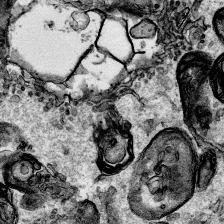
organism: Human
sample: Mitochondria in HCT116 cells